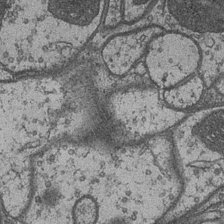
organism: Drosophila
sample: Optic medulla